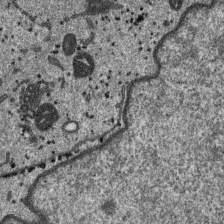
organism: Human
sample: Lung epithelial cells infected with SARS-CoV-2